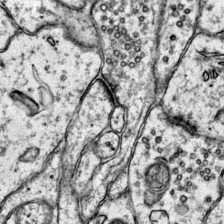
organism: Mouse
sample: Primary visual cortex